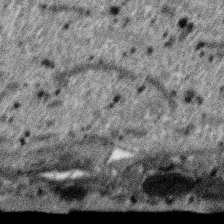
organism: Human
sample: Lung epithelial cells infected with SARS-CoV-2